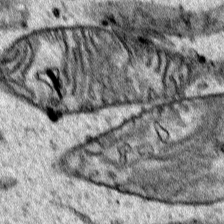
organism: Human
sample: Mitochondria in HCT116 cells